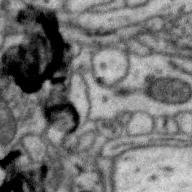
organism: Zebra finch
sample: Brain